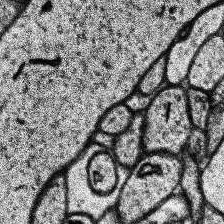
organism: Human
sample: Temporal Lobe